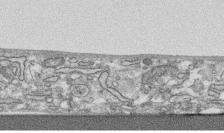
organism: Human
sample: CRL-1474